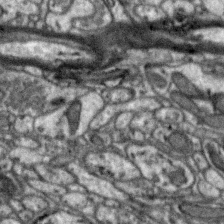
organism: Zebra finch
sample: Brain